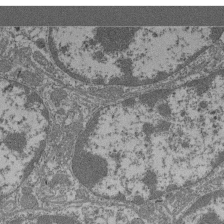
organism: Mouse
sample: Glomerulus